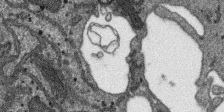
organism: Human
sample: Lung epithelial cells infected with SARS-CoV-2